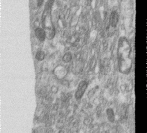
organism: Human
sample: Centriole in RPE cells